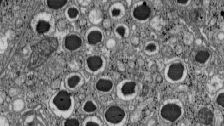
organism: C57BL Mouse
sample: Pancreatic islet